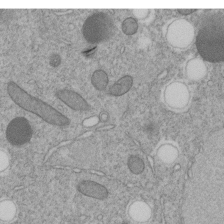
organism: C. elegans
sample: C. elegans embryo early stage